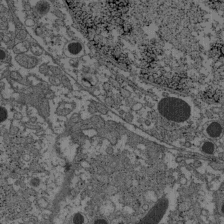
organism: C57BL Mouse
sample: Pancreatic islet